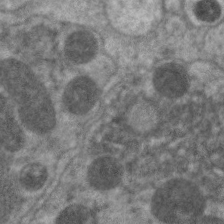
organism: C. elegans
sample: Pharynx